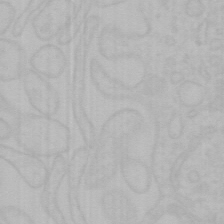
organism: Mouse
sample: Choroid plexus